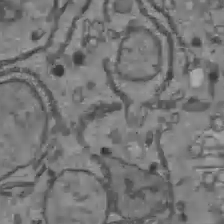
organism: C57BL Mouse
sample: Liver